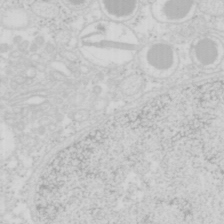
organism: Mouse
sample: Pancreas